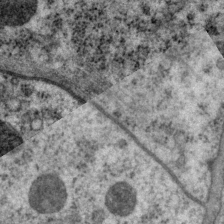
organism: P. pacificus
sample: Pharynx